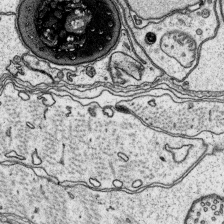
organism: Platynereis dumerilii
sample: Parapodia